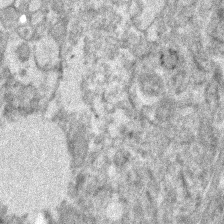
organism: Human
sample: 1205lu cells